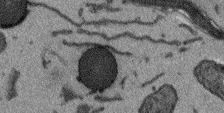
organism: Arabidopsis thaliana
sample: Root tip